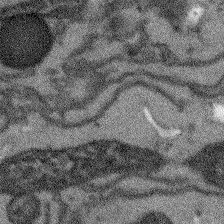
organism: Arabidopsis thaliana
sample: Root tip